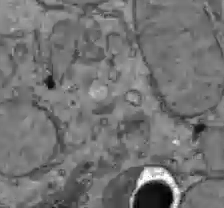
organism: C57BL Mouse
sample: Liver